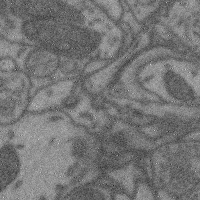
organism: Mouse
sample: Cerebral cortex